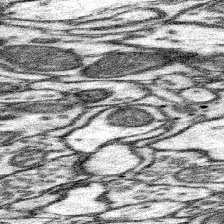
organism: Mouse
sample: Somatosensory cortex neuropil